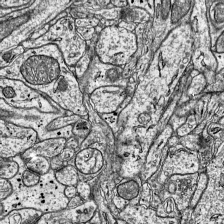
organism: Mouse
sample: Visual Cortex